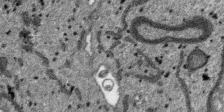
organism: Human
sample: Lung epithelial cells, uninfected (mock) control